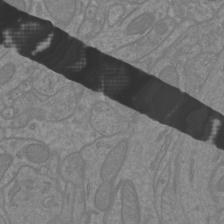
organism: Mouse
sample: Cortical neurons